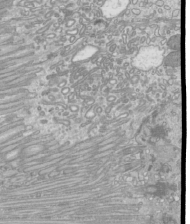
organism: Mouse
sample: Cilia; mouse epididymis